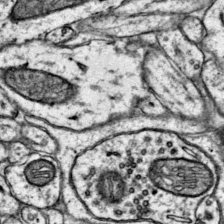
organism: Mouse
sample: Primary visual cortex